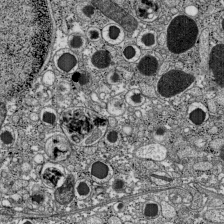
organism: C57BL Mouse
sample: Pancreatic islet